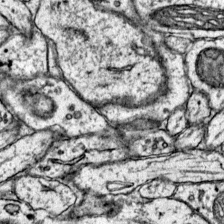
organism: Mouse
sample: Primary visual cortex